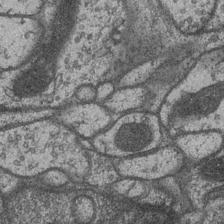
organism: Drosophila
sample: Optic medulla